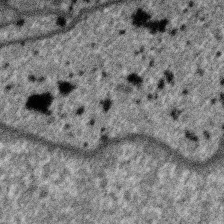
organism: Human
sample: Lung epithelial cells infected with SARS-CoV-2